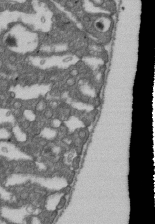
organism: Drosophila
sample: Nephrocyte